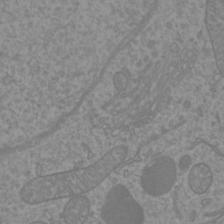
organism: Mouse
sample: Cortical neurons